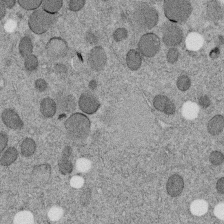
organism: C. elegans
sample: C. elegans embryo early stage